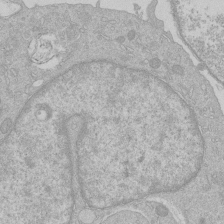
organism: Human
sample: Macrophage cells